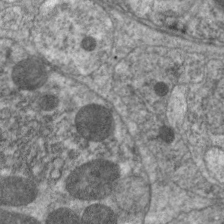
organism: C. elegans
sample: Pharynx